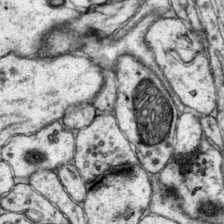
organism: Mouse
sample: Primary visual cortex